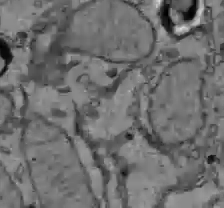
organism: C57BL Mouse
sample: Liver